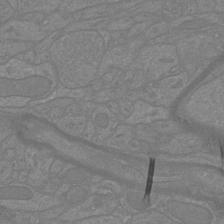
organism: Mouse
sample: Cortical neurons